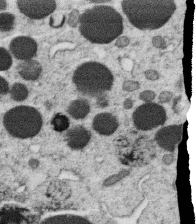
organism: C. elegans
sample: C. elegans oocyte; sperm cells